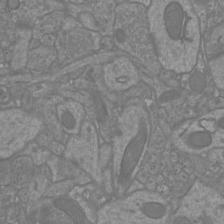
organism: Mouse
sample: Cortical neurons